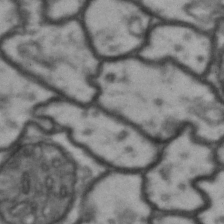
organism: Drosophila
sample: Brain